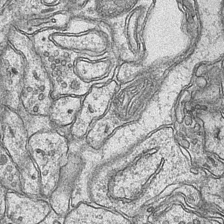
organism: Mouse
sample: CA1 Hippocampus